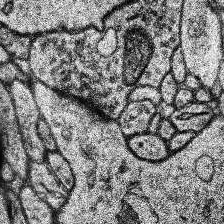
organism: Human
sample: Temporal Lobe